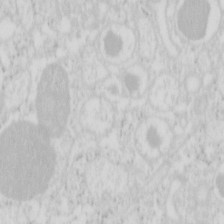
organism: Mouse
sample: Pancreas